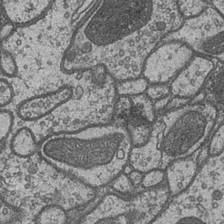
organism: Drosophila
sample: Optic medulla